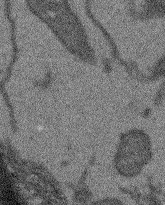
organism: Arabidopsis thaliana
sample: Root tip